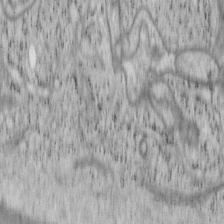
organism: Human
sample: HeLa cells